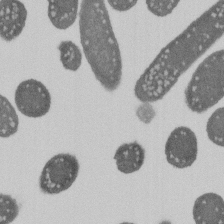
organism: E. coli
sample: Bacterial nucleoid